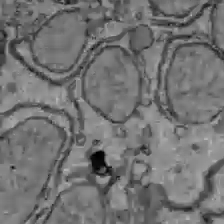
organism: C57BL Mouse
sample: Liver